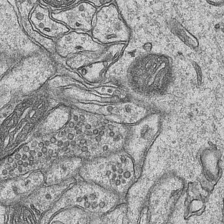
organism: Mouse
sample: CA1 Hippocampus